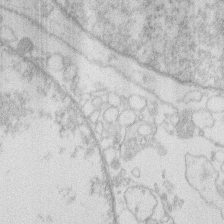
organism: Human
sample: Macrophage cells